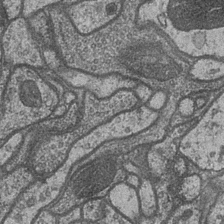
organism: Drosophila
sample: Optic medulla